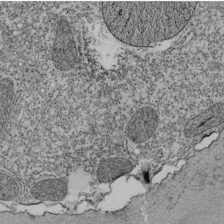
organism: Tetrahymena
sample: Cilia in tetrahymena